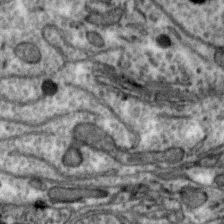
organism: Zebra finch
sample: Brain